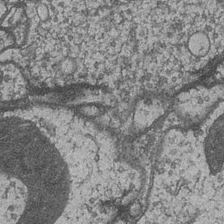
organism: Drosophila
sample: Optic medulla